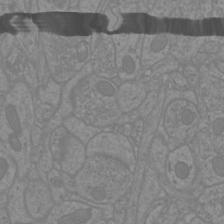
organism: Mouse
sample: Cortical neurons